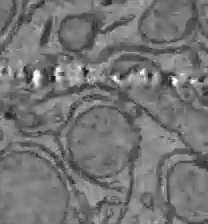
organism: C57BL Mouse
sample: Liver